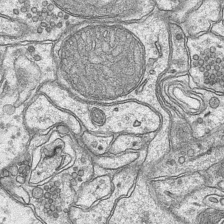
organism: Mouse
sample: CA1 Hippocampus